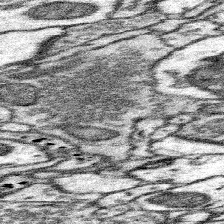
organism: Mouse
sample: Somatosensory cortex neuropil